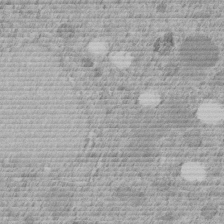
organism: C. elegans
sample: C. elegans embryo early stage